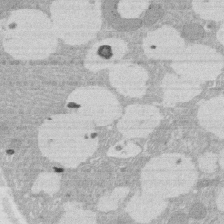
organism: Rat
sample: Salivary granule